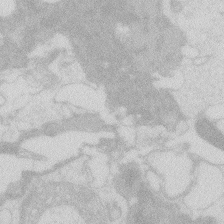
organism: Zebrafish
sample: Macrophage